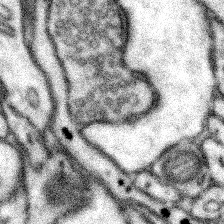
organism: Mouse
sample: Somatosensory cortex neuropil